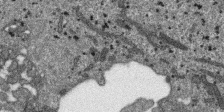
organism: Human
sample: Lung epithelial cells infected with SARS-CoV-2